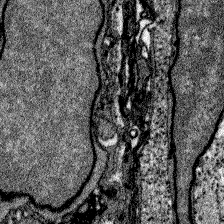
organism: Zebrafish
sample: Larval olfactory bulb